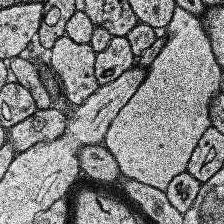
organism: Human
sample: Temporal Lobe